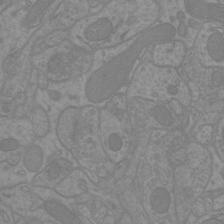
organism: Mouse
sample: Cortical neurons